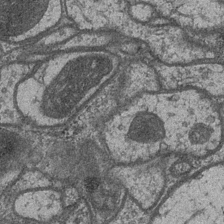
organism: Drosophila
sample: Optic medulla